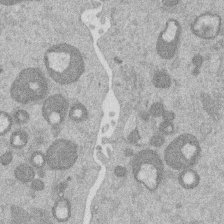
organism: Mouse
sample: Dividing mouse embryo 1 cell stage